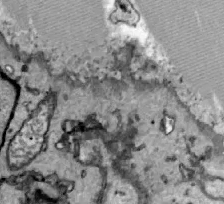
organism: Zebrafish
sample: Actinotrichia fibers